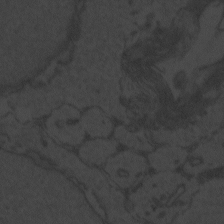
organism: Zebrafish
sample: Macrophage infected with Toxoplasma gondii